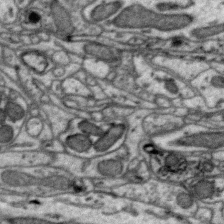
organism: Zebra finch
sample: Brain